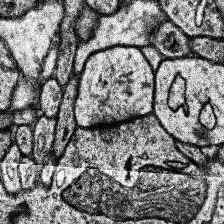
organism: Human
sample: Temporal Lobe